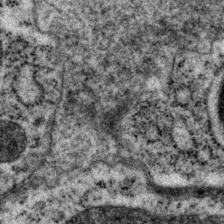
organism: P. pacificus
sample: Pharynx